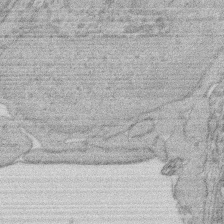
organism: Rat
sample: Salivary granule